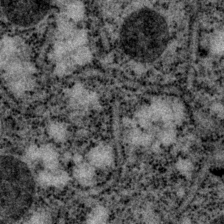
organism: P. pacificus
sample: Pharynx